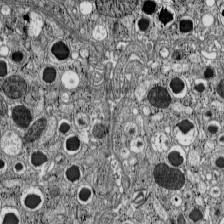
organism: C57BL Mouse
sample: Pancreatic islet